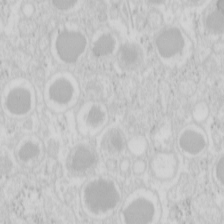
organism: Mouse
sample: Pancreas